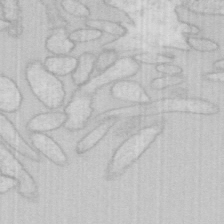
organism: Human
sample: HeLa cells